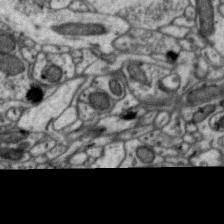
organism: Zebra finch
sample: Brain